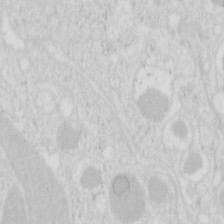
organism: Mouse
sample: Pancreas